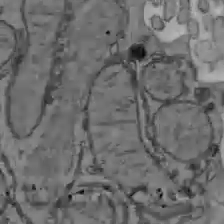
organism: C57BL Mouse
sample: Liver